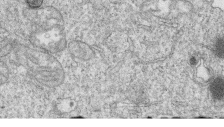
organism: Human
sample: HeLa cell HIV synapse